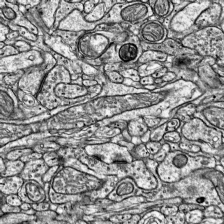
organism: Mouse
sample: Visual Cortex